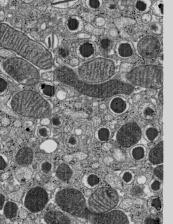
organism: C57BL Mouse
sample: Pancreatic islet